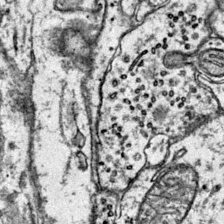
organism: Mouse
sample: Primary visual cortex